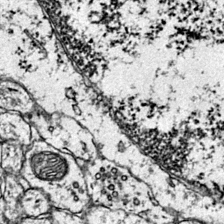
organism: Mouse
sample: Primary visual cortex